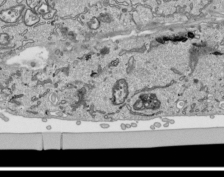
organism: Human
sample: Mitochondria in HCT116 cells